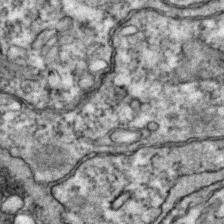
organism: Zebrafish